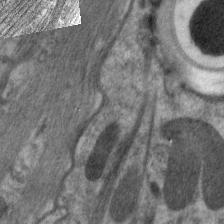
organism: C. elegans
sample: Pharynx